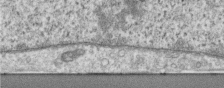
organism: Human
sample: Centriole in RPE cells